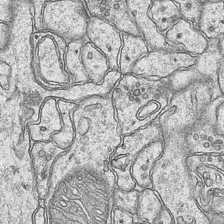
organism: Mouse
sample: CA1 Hippocampus